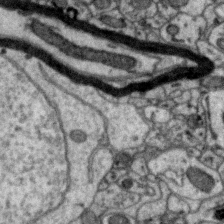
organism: Zebra finch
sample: Brain